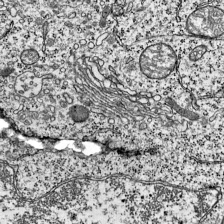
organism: Mouse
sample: Visual Cortex